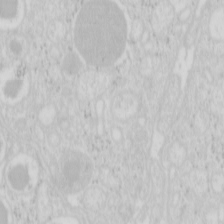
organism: Mouse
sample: Pancreas